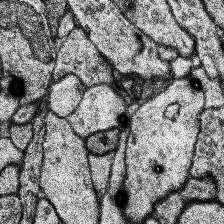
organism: Human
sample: Temporal Lobe